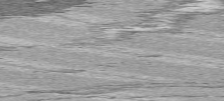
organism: C57BL Mouse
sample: Heart